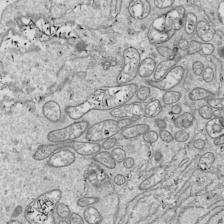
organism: Drosophila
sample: Cell division; meiosis; drosophila spermatocytes